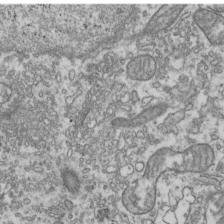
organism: Human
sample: Activated Jurkat CD4+ T cells